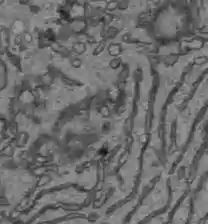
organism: C57BL Mouse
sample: Liver